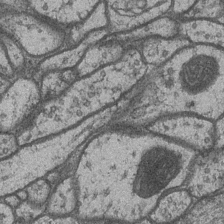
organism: Drosophila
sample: Optic medulla